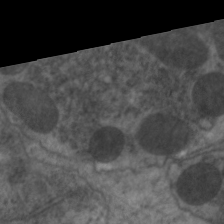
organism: C. elegans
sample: Pharynx